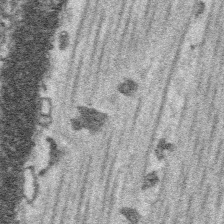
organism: Platynereis dumerilii